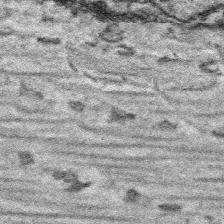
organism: Platynereis dumerilii